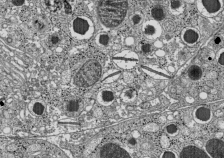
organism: C57BL Mouse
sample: Pancreatic islet